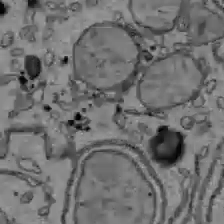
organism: C57BL Mouse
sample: Liver